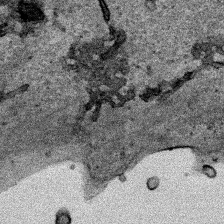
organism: Human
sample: Mitochondria in HCT116 cells